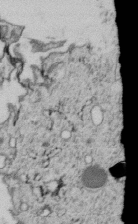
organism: C. elegans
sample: C. elegans embryo early stage